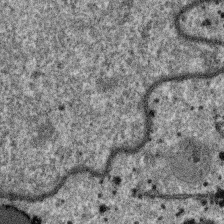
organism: Human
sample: Lung epithelial cells infected with SARS-CoV-2